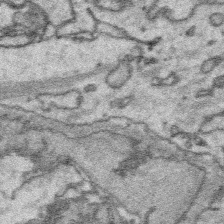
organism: Platynereis dumerilii